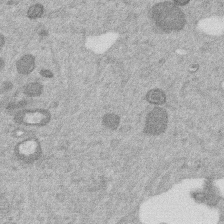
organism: Mouse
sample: Dividing mouse embryo 1 cell stage